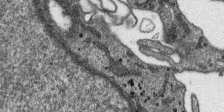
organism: Human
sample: Lung epithelial cells infected with SARS-CoV-2